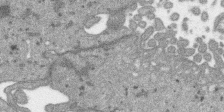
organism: Human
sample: Lung epithelial cells infected with SARS-CoV-2